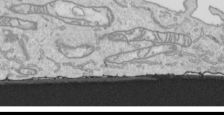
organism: Human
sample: Mitochondria in HCT116 cells